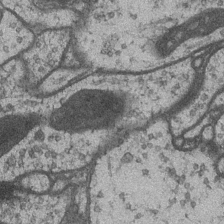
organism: Drosophila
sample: Optic medulla